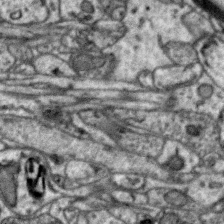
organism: Zebra finch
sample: Brain